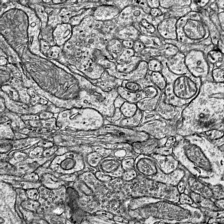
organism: Mouse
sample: Visual Cortex